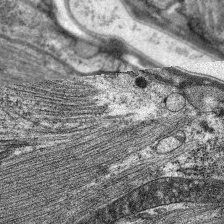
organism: C. elegans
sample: Pharynx